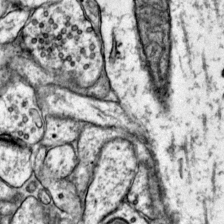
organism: Mouse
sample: Primary visual cortex